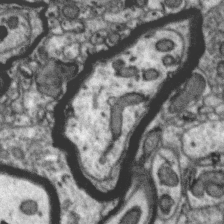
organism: Zebra finch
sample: Brain